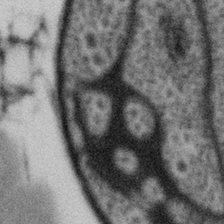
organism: Gemmata obscuriglobus